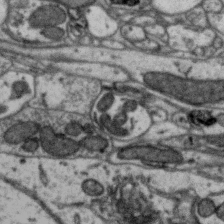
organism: Zebra finch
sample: Brain